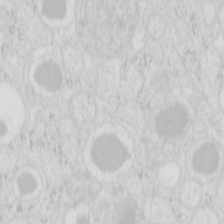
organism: Mouse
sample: Pancreas